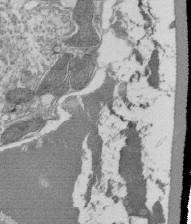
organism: Tetrahymena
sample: Cilia in tetrahymena